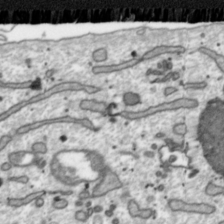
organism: Toxoplasma gondii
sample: Parasites in a vacuole inside a host cell